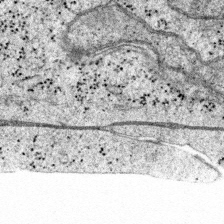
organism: Human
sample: HeLa cells